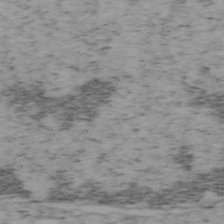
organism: Mouse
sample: OT-I killer T cells with ID8 ovarian cancer cells